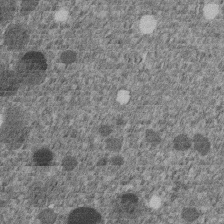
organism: C. elegans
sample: C. elegans embryo early stage